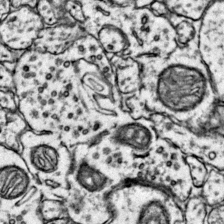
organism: Mouse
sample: Primary visual cortex